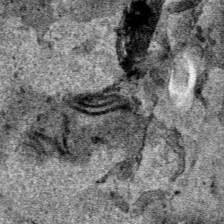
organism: Human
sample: Mitochondria in HCT116 cells